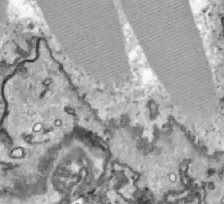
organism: Zebrafish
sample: Actinotrichia fibers